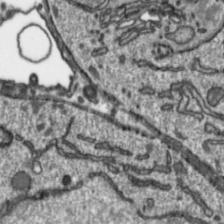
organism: Toxoplasma gondii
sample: Parasites in a vacuole inside a host cell